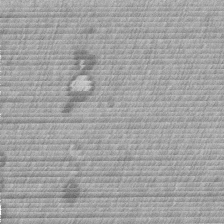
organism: Mouse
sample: Dividing mouse embryo 1 cell stage